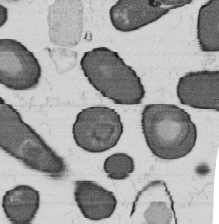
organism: B. subtilis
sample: Bacterial spore